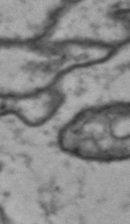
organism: Drosophila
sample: Brain